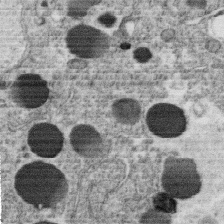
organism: C. elegans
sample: C. elegans oocyte; sperm cells